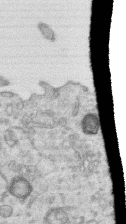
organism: Human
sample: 1205lu cells